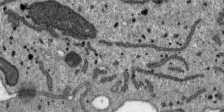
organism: Human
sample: Lung epithelial cells, uninfected (mock) control